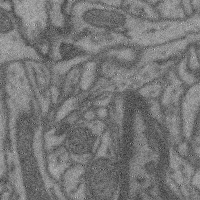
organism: Mouse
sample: Cerebral cortex